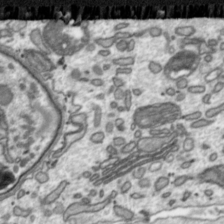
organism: Toxoplasma gondii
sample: Parasites in a vacuole inside a host cell